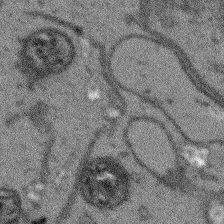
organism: Arabidopsis thaliana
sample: Root tip